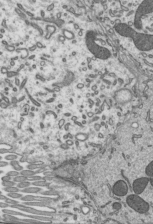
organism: Mouse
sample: Mouse epididymis efferent ductule cilia